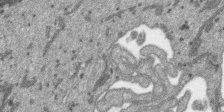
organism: Human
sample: Lung epithelial cells infected with SARS-CoV-2